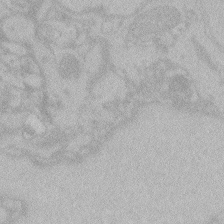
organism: Zebrafish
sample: Macrophage infected with Toxoplasma gondii